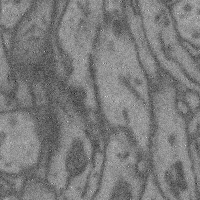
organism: Mouse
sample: Cerebral cortex